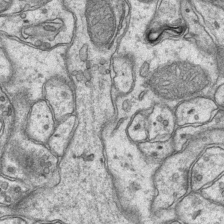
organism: Mouse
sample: CA1 Hippocampus